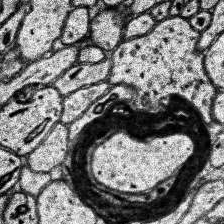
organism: Human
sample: Temporal Lobe